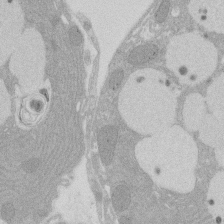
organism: Rat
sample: Salivary granule